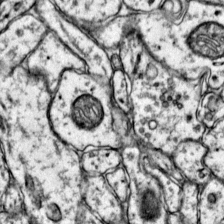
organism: Mouse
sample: Primary visual cortex